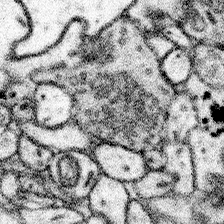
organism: Mouse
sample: Somatosensory cortex neuropil